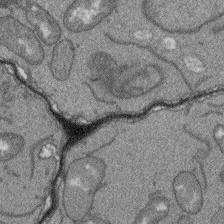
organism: Arabidopsis thaliana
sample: Root tip